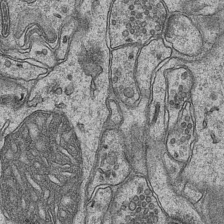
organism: Mouse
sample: CA1 Hippocampus